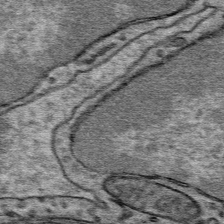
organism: Mouse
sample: Mouse Salivary gland